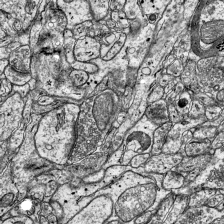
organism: Mouse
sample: Visual Cortex